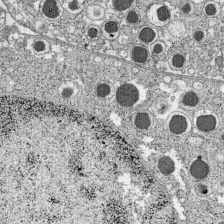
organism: C57BL Mouse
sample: Pancreatic islet